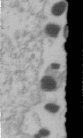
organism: Human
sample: U2-OS cells